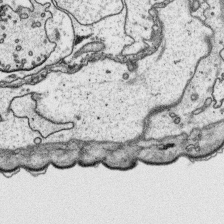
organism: Platynereis dumerilii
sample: Parapodia